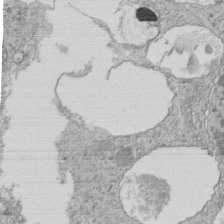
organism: Tetrahymena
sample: Cilia in tetrahymena